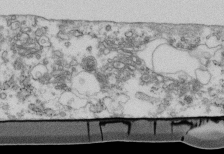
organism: Mouse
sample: Cilia; retinal pigment epithelium